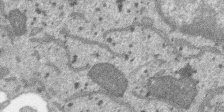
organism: Human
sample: Lung epithelial cells infected with SARS-CoV-2